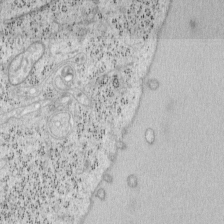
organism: Mouse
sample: OT-I killer T cells with ID8 ovarian cancer cells